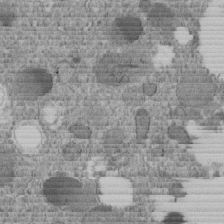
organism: C. elegans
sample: C. elegans embryo early stage